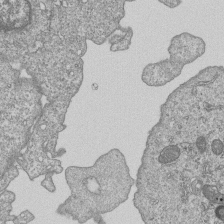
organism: Human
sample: MDA-MB-231 cells